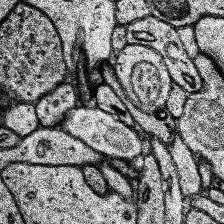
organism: Human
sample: Temporal Lobe